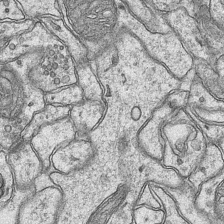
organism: Mouse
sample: CA1 Hippocampus